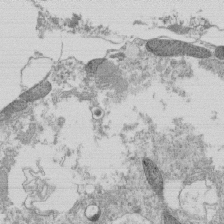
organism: Tetrahymena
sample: Cilia in tetrahymena